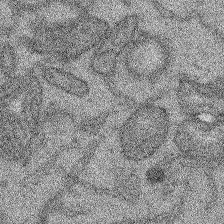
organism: Human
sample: HeLa cells